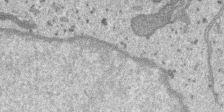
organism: Human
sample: Lung epithelial cells infected with SARS-CoV-2